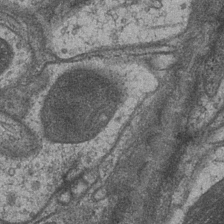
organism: Drosophila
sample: Optic medulla